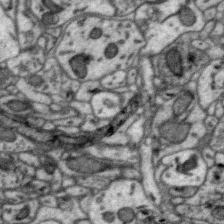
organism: Zebra finch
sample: Brain